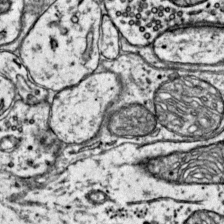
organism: Mouse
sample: Primary visual cortex